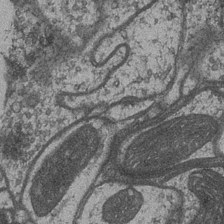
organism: Drosophila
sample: Optic medulla